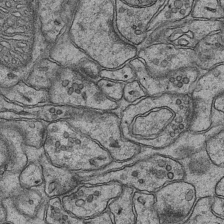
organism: Mouse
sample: CA1 Hippocampus